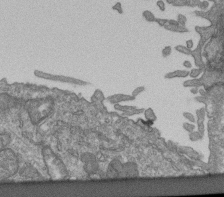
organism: Human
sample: Retinal organoid Rod and Cone cells